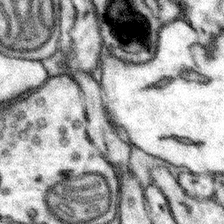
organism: Mouse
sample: Somatosensory cortex neuropil